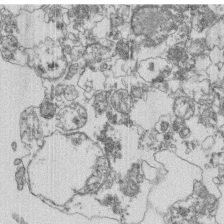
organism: Human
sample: HeLa cell HIV synapse